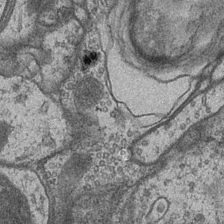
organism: Drosophila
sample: Optic medulla